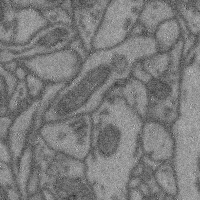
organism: Mouse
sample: Cerebral cortex